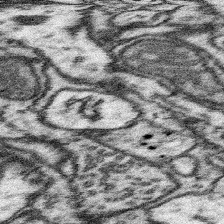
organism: Mouse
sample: Somatosensory cortex neuropil